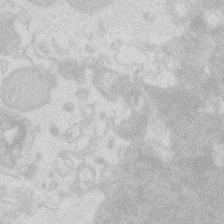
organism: Zebrafish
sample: Macrophage